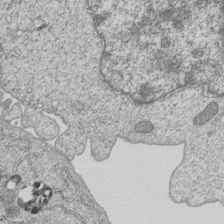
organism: Human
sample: MDA-MB-231 cells